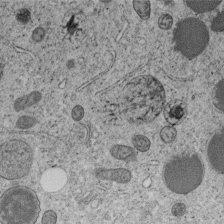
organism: C. elegans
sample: C. elegans embryo early stage